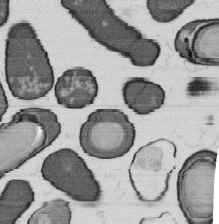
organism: B. subtilis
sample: Bacterial spore